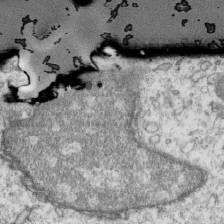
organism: Mouse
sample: Activated OT-1 CD8+ T cells